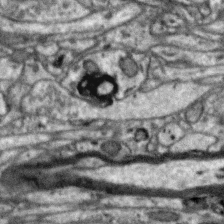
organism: Zebra finch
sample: Brain